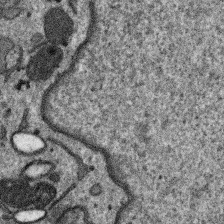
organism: Human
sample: Lung epithelial cells infected with SARS-CoV-2